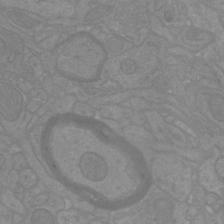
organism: Mouse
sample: Cortical neurons